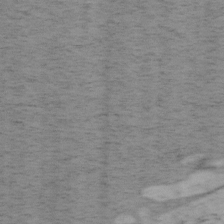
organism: Mouse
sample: OT-I killer T cells with ID8 ovarian cancer cells